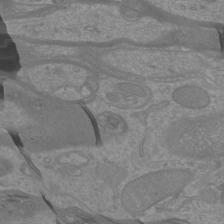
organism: Mouse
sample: Cortical neurons